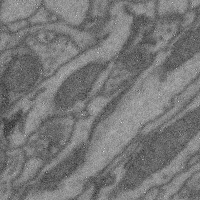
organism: Mouse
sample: Cerebral cortex